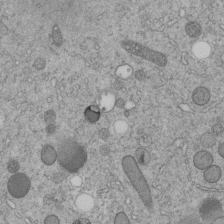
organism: C. elegans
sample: C. elegans embryo early stage